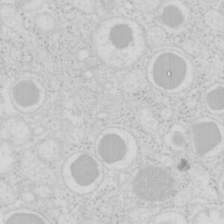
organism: Mouse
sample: Pancreas